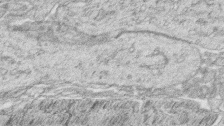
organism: Zebrafish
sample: synaptic ribbons in rod cells and cone cells